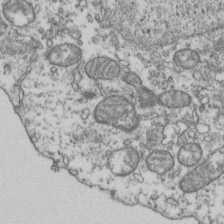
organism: Human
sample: Activated Jurkat CD4+ T cells